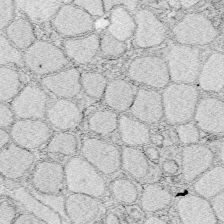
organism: Zebrafish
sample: Whole-Brain